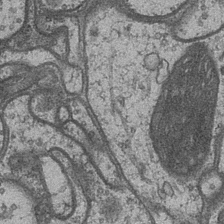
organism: Drosophila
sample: Optic medulla